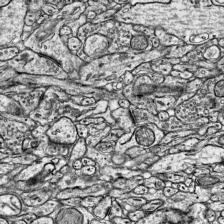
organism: Mouse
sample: Visual Cortex